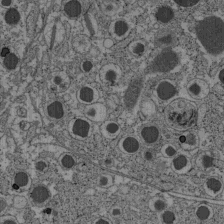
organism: C57BL Mouse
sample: Pancreatic islet